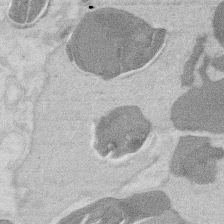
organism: Mouse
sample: T cell stromal cell synapse